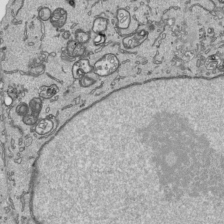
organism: Human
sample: Mitochondria in HCT116 cells